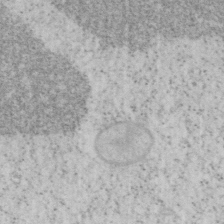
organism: Human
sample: HeLa cells